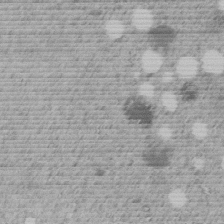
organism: C. elegans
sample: C. elegans embryo early stage